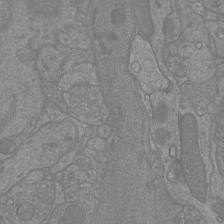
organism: Mouse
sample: Cortical neurons